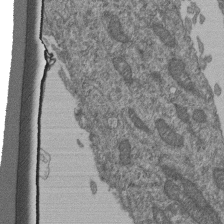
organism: Human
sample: Retinal organoid Rod and Cone cells